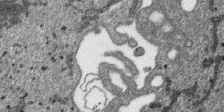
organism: Human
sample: Lung epithelial cells infected with SARS-CoV-2